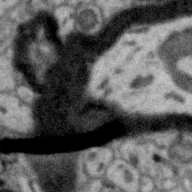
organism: Zebra finch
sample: Brain